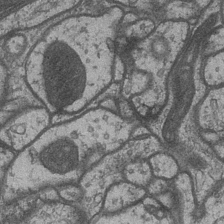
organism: Drosophila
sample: Optic medulla